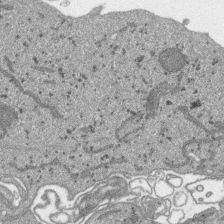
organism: Human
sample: Lung epithelial cells infected with SARS-CoV-2